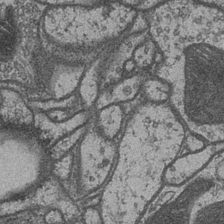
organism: Drosophila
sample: Optic medulla